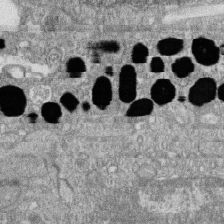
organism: Zebrafish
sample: Cilia; retinal pigment epithelium